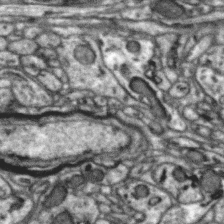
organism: Zebra finch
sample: Brain